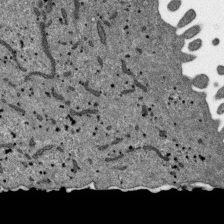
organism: Human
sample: Lung epithelial cells, uninfected (mock) control